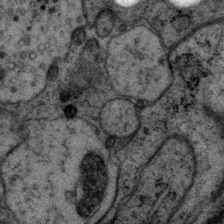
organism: P. pacificus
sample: Pharynx